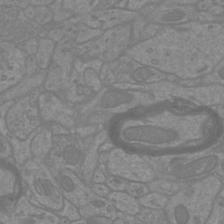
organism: Mouse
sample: Cortical neurons